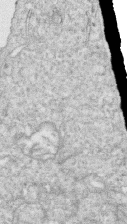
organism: Human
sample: HeLa cell HIV synapse